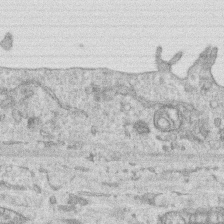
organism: Human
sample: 1205lu cells